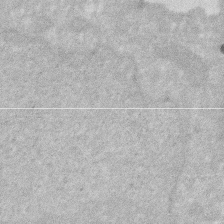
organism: Human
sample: HIV infected U937 cells